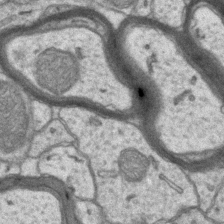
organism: Mouse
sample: CA1 Hippocampus